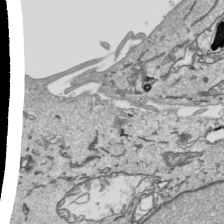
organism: Human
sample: Mitochondria in HCT116 cells